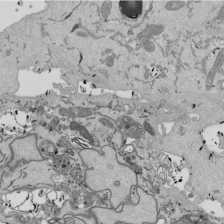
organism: Mouse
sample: ED-1 cell nuclei; centrioles